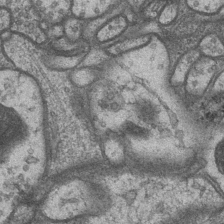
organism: Drosophila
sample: Optic medulla